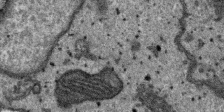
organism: Human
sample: Lung epithelial cells, uninfected (mock) control